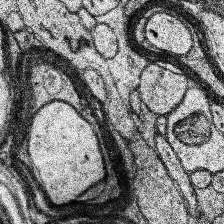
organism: Human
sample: Temporal Lobe